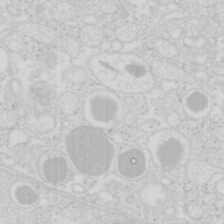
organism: Mouse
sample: Pancreas